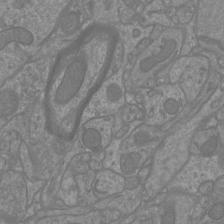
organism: Mouse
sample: Cortical neurons